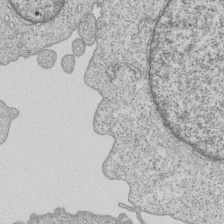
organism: Human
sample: MDA-MB-231 cells